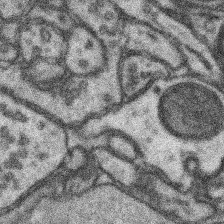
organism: Mouse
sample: Somatosensory cortex neuropil